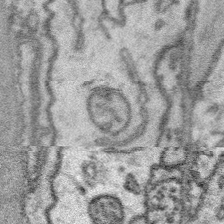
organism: Platynereis dumerilii